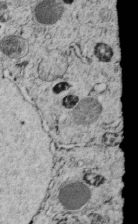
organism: C. elegans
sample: C. elegans embryo early stage